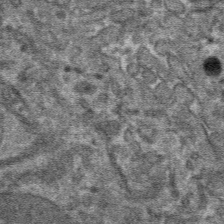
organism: Mouse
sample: Mouse hepatocytes